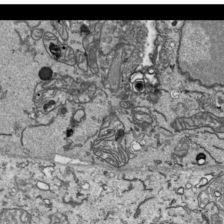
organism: Human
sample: Mitochondria in HCT116 cells